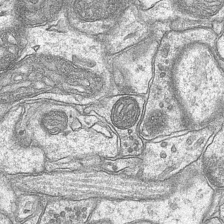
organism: Mouse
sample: CA1 Hippocampus